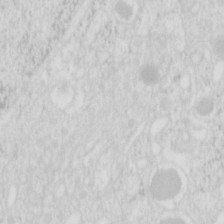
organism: Mouse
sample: Pancreas